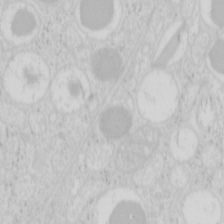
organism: Mouse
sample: Pancreas